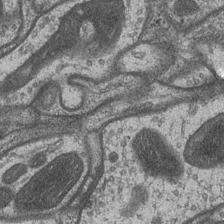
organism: Drosophila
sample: Optic medulla